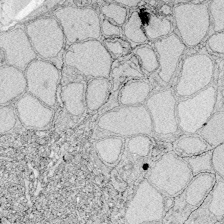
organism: Zebrafish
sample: Whole-Brain